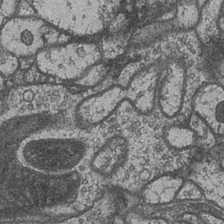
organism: Drosophila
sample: Optic medulla